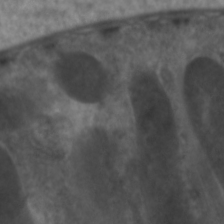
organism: C. elegans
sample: Pharynx